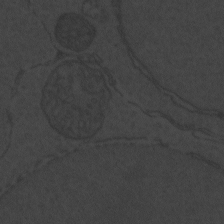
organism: Zebrafish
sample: Macrophage infected with Toxoplasma gondii